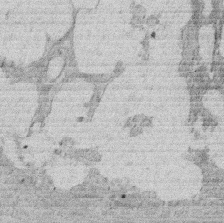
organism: Rat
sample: Salivary granule